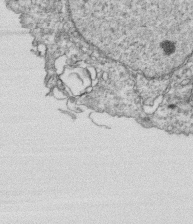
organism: Human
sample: HeLa cell HIV synapse